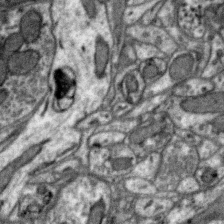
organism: Zebra finch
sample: Brain